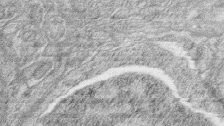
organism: Zebrafish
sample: synaptic ribbons in rod cells and cone cells